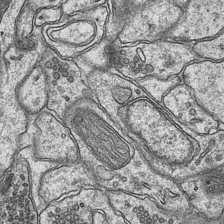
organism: Mouse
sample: CA1 Hippocampus